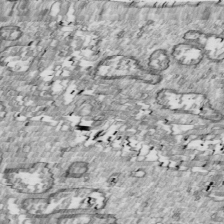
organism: Drosophila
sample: Cell division; meiosis; drosophila spermatocytes